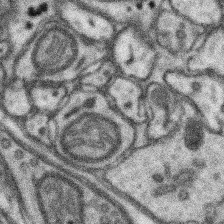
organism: Mouse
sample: Somatosensory cortex neuropil